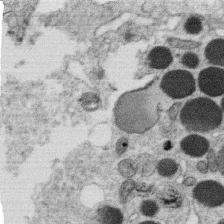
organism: C. elegans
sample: C. elegans oocyte; sperm cells